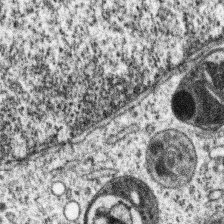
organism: Human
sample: HeLa cells